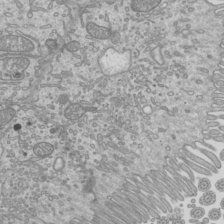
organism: Mouse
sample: Cilia; mouse epididymis